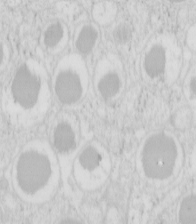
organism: Mouse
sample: Pancreas